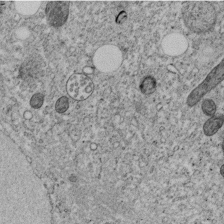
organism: C. elegans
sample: C. elegans embryo early stage